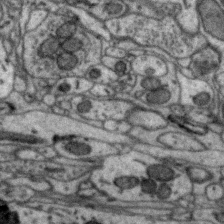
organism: Zebra finch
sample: Brain